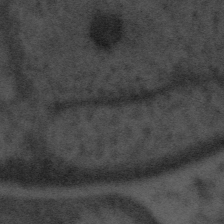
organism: Tuwongella immobilis